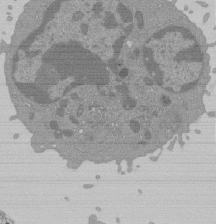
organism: Mouse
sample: Activated Pmel transgenic CD8+ T Cells